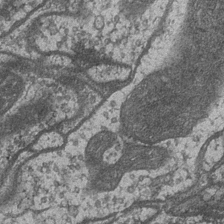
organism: Drosophila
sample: Optic medulla